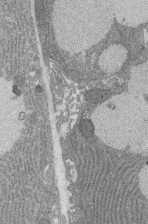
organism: Rat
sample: Salivary granule